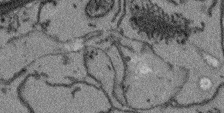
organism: Arabidopsis thaliana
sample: Root tip